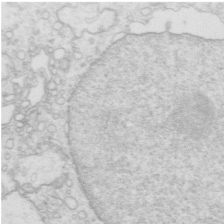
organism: Mouse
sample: Multiciliated cells